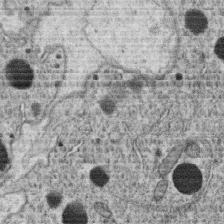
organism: C. elegans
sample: C. elegans oocyte; sperm cells